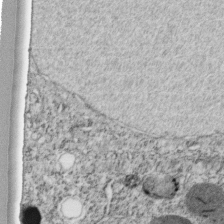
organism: C. elegans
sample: C. elegans embryo early stage